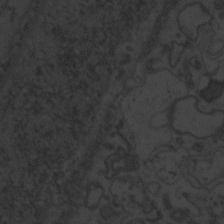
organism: Zebrafish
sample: Macrophage infected with Toxoplasma gondii